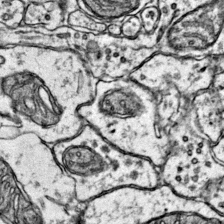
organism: Mouse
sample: Primary visual cortex